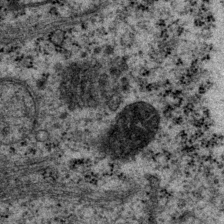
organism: P. pacificus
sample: Pharynx